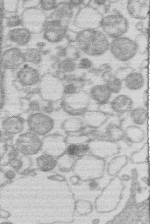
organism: Human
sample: Macrophage cells